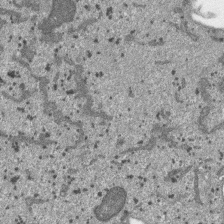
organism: Human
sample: Lung epithelial cells infected with SARS-CoV-2